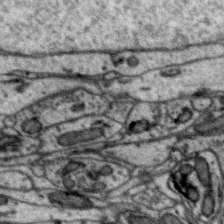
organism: Zebra finch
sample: Brain